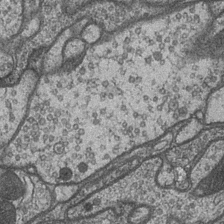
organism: Drosophila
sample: Optic medulla